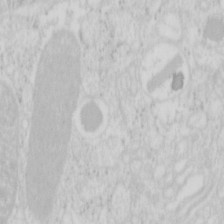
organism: Mouse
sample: Pancreas